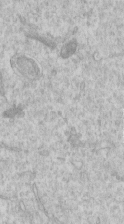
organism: Human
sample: Centriole in RPE cells